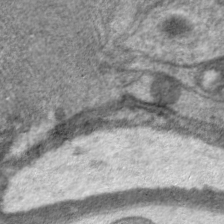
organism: C. elegans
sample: Pharynx